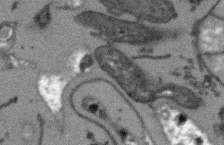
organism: Arabidopsis thaliana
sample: Root tip